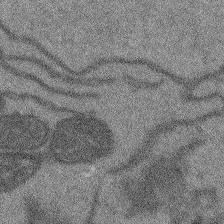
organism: Arabidopsis thaliana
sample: Root tip